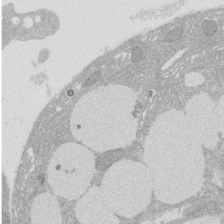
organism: Rat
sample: Salivary granule